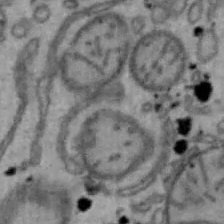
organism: Mouse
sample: Liver